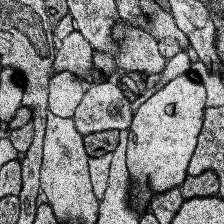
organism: Human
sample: Temporal Lobe